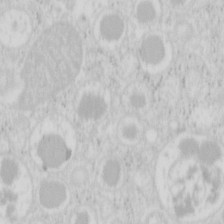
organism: Mouse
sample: Pancreas